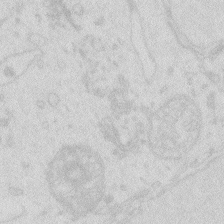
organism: Zebrafish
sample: Macrophage